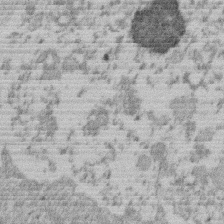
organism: Mouse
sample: Dividing mouse embryo 1 cell stage